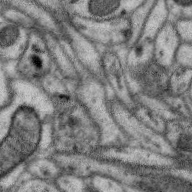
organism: Zebra finch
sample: Brain